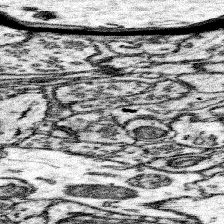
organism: Mouse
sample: Somatosensory cortex neuropil